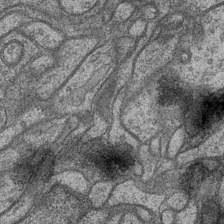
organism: Drosophila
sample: Optic medulla